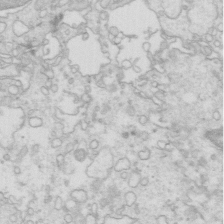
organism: Mouse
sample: Multiciliated cells